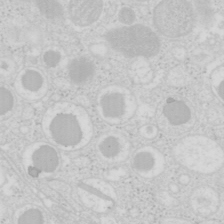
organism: Mouse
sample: Pancreas